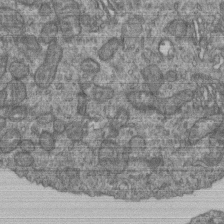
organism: Human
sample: Retinal organoid Rod and Cone cells